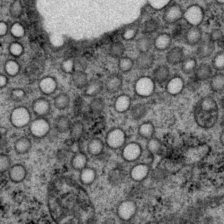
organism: P. pacificus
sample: Pharynx